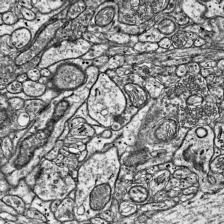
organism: Mouse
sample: Visual Cortex